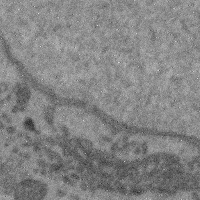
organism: Mouse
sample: Cerebral cortex